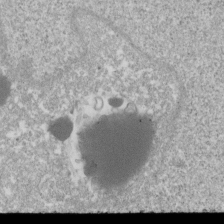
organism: Xenopus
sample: Cilia; centrioles in frog embryo cells